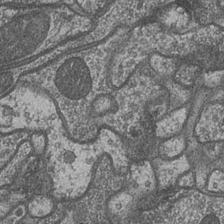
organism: Drosophila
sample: Optic medulla